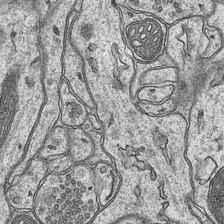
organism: Mouse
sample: CA1 Hippocampus